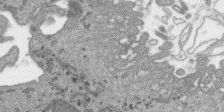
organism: Human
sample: Lung epithelial cells infected with SARS-CoV-2